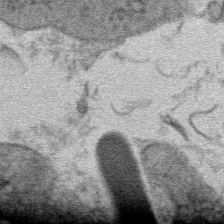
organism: Mouse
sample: Mouse hepatocytes